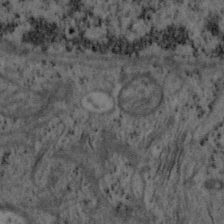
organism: Human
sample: HeLa cells